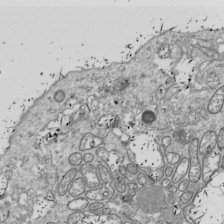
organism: Drosophila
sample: Cell division; meiosis; drosophila spermatocytes